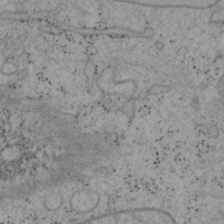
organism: Human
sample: HeLa cells